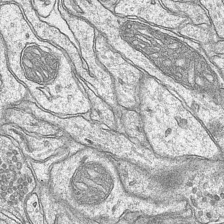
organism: Mouse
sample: CA1 Hippocampus